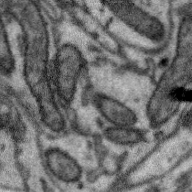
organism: Zebra finch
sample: Brain